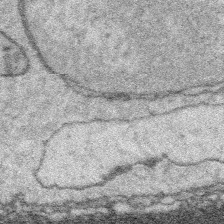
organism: Platynereis dumerilii